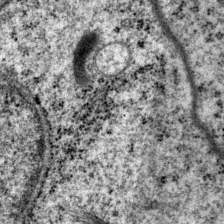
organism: P. pacificus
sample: Pharynx